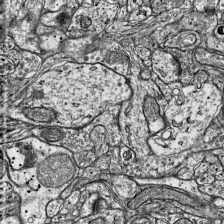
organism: Mouse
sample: Visual Cortex